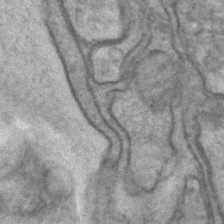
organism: C. elegans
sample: C. elegans embryo